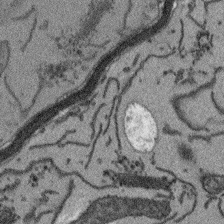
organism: Arabidopsis thaliana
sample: Root tip